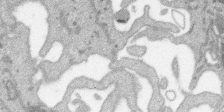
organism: Human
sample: Lung epithelial cells infected with SARS-CoV-2